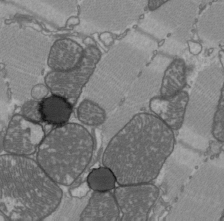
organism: C57BL Mouse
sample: Heart